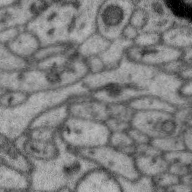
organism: Zebra finch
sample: Brain